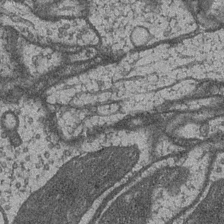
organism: Drosophila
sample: Optic medulla